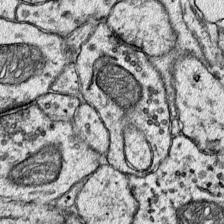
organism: Mouse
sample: Primary visual cortex